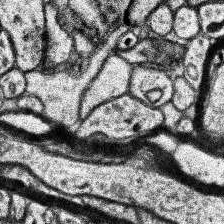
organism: Human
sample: Temporal Lobe